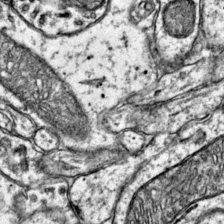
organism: Mouse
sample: Primary visual cortex